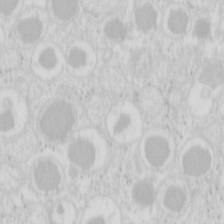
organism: Mouse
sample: Pancreas